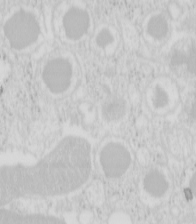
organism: Mouse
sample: Pancreas